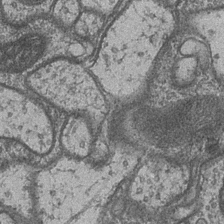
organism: Drosophila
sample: Optic medulla